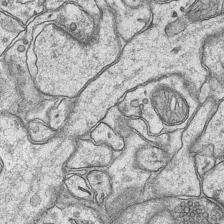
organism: Mouse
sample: CA1 Hippocampus